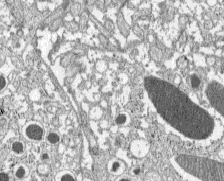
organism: C57BL Mouse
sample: Pancreatic islet